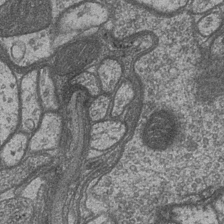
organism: Drosophila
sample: Optic medulla